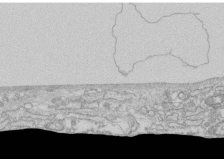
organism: Human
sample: CRL-1474